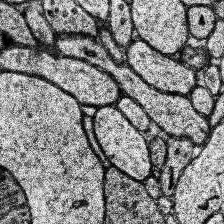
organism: Human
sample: Temporal Lobe